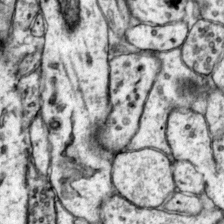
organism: Mouse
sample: Primary visual cortex